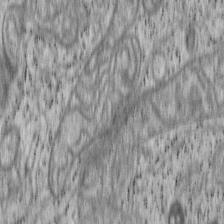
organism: Human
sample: HeLa cells